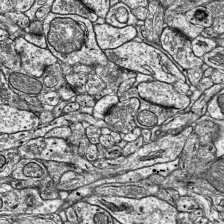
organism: Mouse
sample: Visual Cortex